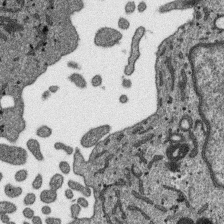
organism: Human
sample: Lung epithelial cells infected with SARS-CoV-2